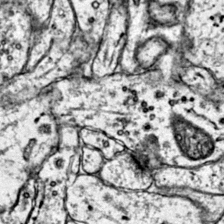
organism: Mouse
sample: Primary visual cortex